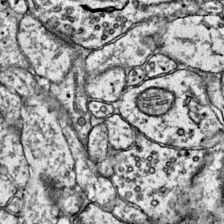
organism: Mouse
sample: Primary visual cortex